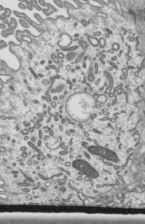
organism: Mouse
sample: Mouse epididymis efferent ductule cilia